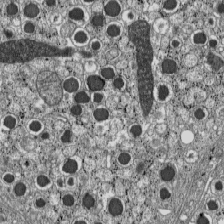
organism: C57BL Mouse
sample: Pancreatic islet